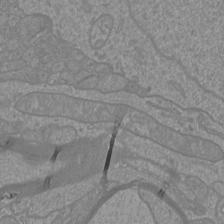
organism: Mouse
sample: Cortical neurons